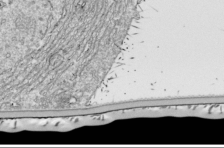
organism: Drosophila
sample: Cell division; meiosis; drosophila spermatocytes